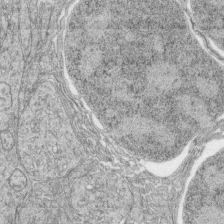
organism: Zebrafish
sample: synaptic ribbons in rod cells and cone cells